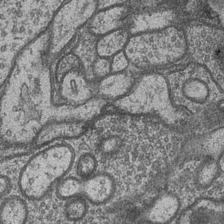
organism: Drosophila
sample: Optic medulla